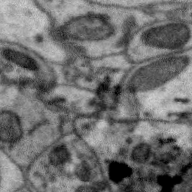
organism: Zebra finch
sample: Brain